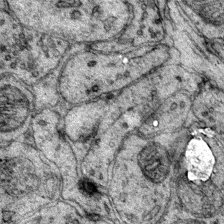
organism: Mouse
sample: Primary visual cortex